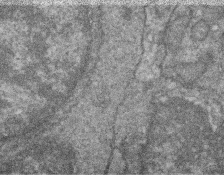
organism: Zebrafish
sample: Cilia; retinal pigment epithelium